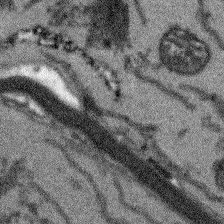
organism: Arabidopsis thaliana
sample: Root tip